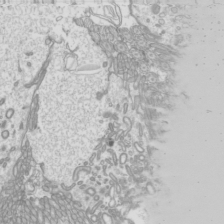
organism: Mouse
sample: Cilia; mouse epididymis